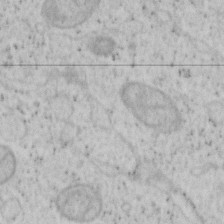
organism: Human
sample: HeLa cells